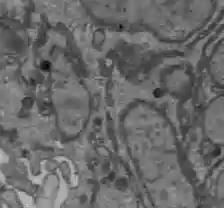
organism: C57BL Mouse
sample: Liver